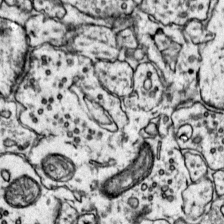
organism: Mouse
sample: Primary visual cortex